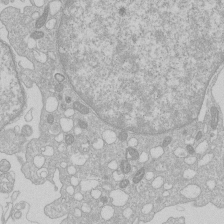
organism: Human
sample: Macrophage cells